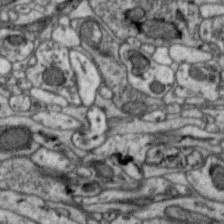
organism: Zebra finch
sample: Brain